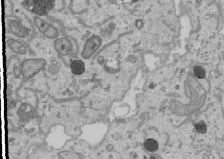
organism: Human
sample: Mitochondria in U2OS cells